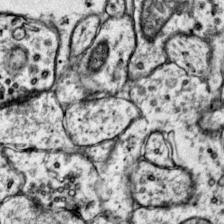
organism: Mouse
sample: Primary visual cortex